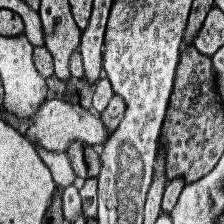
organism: Human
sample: Temporal Lobe